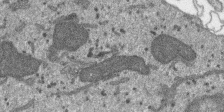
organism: Human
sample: Lung epithelial cells infected with SARS-CoV-2